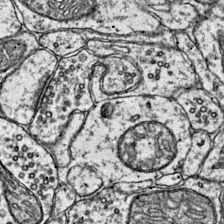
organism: Mouse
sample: Primary visual cortex